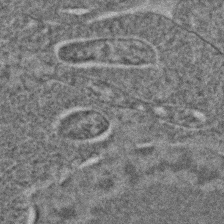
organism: C. elegans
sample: C. elegans embryo